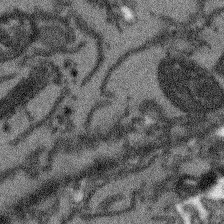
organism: Arabidopsis thaliana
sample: Root tip